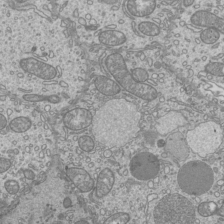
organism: Mouse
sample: Cilia; mouse epididymis